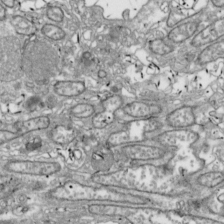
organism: Drosophila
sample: Cell division; meiosis; drosophila spermatocytes